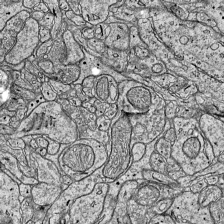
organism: Mouse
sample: Visual Cortex